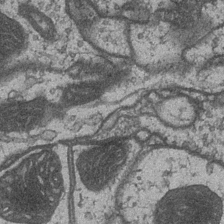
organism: Drosophila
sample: Optic medulla